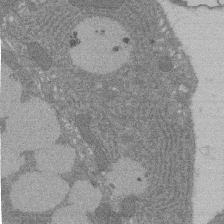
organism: Rat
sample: Salivary granule